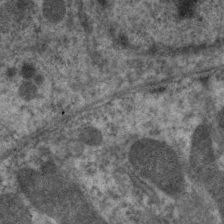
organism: C. elegans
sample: Pharynx